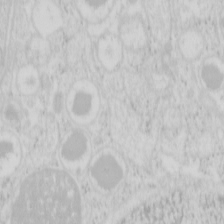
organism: Mouse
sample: Pancreas